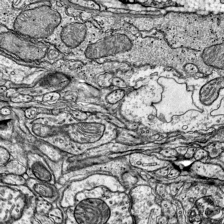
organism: Mouse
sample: Visual Cortex